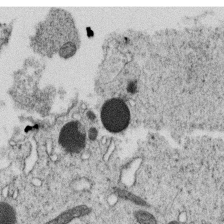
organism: C. elegans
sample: C. elegans oocyte; sperm cells